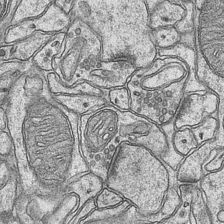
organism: Mouse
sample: CA1 Hippocampus